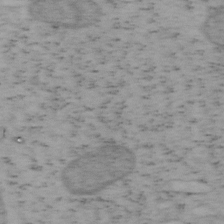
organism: Mouse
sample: OT-I killer T cells with ID8 ovarian cancer cells